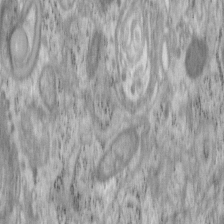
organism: Human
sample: HeLa cells